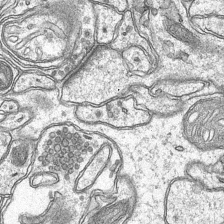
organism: Mouse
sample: CA1 Hippocampus